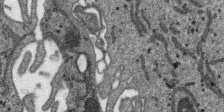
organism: Human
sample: Lung epithelial cells infected with SARS-CoV-2